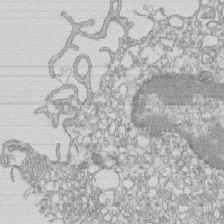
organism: Mouse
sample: Macrophages